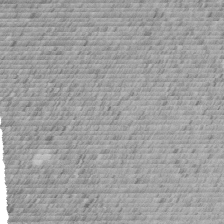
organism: C. elegans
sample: C. elegans embryo early stage